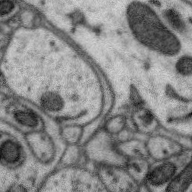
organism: Zebra finch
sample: Brain